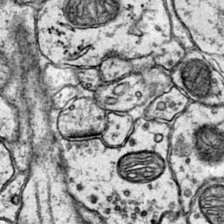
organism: Mouse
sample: Primary visual cortex